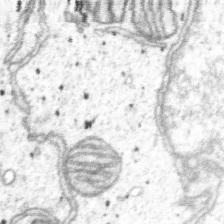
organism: Human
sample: HeLa cells